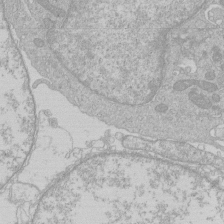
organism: Human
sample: Macrophage cells